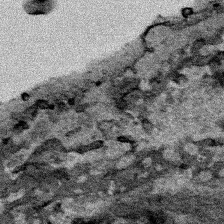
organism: Human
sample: Mitochondria in HCT116 cells